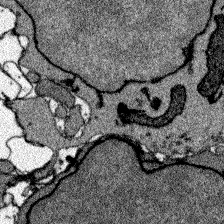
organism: Zebrafish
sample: Larval olfactory bulb